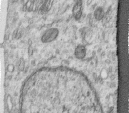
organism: Human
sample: Centriole in RPE cells